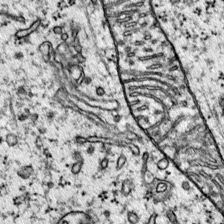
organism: Mouse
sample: Primary visual cortex